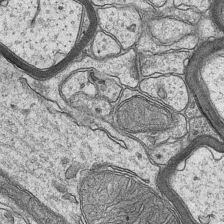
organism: Mouse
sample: CA1 Hippocampus